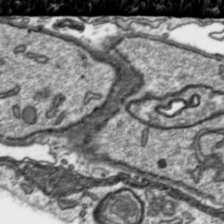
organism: Toxoplasma gondii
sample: Parasites in a vacuole inside a host cell